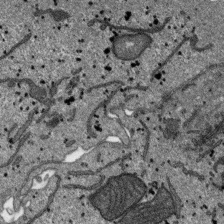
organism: Human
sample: Lung epithelial cells, uninfected (mock) control